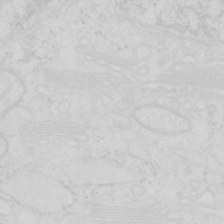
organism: Human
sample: SUM-159 cell